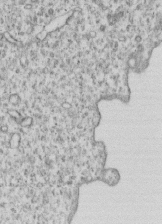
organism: Human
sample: MDA-MB-231 cells